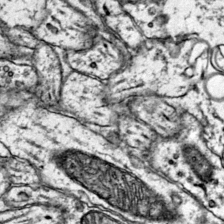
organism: Mouse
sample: Primary visual cortex